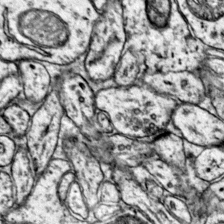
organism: Mouse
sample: Primary visual cortex